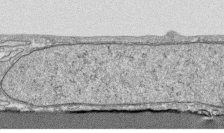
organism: Human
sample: CRL-1474